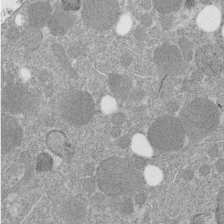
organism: C. elegans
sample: C. elegans embryo early stage